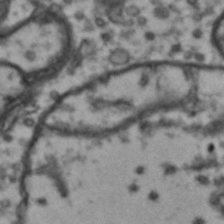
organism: Drosophila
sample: Brain